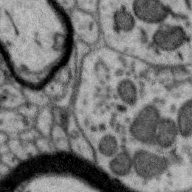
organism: Zebra finch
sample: Brain